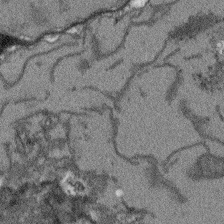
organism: Arabidopsis thaliana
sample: Root tip